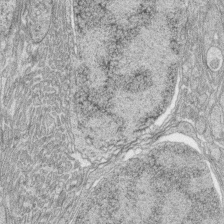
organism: Zebrafish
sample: synaptic ribbons in rod cells and cone cells